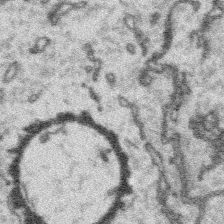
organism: Platynereis dumerilii